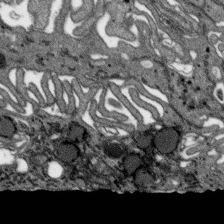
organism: Human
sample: Lung epithelial cells, uninfected (mock) control